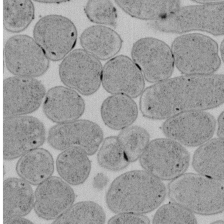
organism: E. coli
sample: Bacterial nucleoid